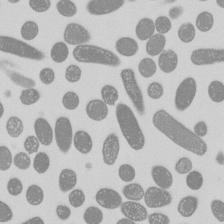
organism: E. coli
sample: Bacterial nucleoid